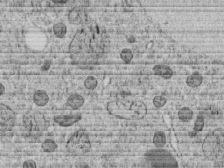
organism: C. elegans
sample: C. elegans embryo early stage